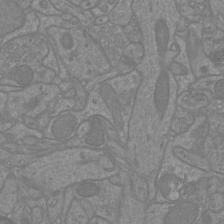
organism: Mouse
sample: Cortical neurons